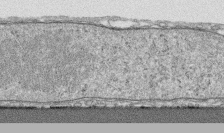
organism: Human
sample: CRL-1474